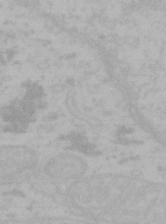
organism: Mouse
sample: Choroid plexus